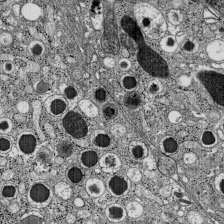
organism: C57BL Mouse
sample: Pancreatic islet